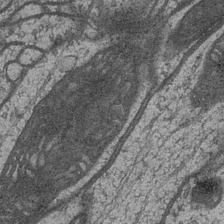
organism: Drosophila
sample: Optic medulla